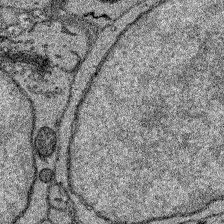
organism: Zebrafish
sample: Larval olfactory bulb